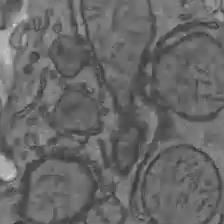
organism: C57BL Mouse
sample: Liver